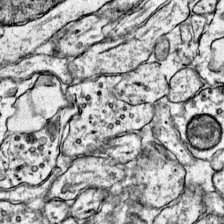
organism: Mouse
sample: Primary visual cortex